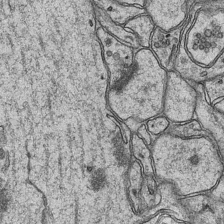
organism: Mouse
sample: CA1 Hippocampus